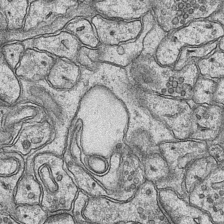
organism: Mouse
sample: CA1 Hippocampus